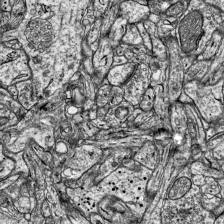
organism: Mouse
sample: Visual Cortex